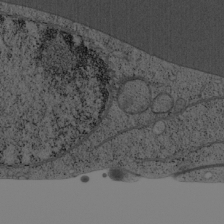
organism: African green monkey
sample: COS-7 cells